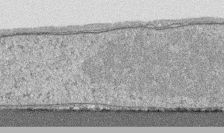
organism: Human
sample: CRL-1474